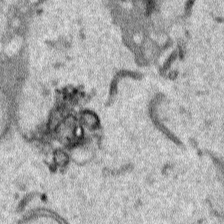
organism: Human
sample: Mitochondria in HCT116 cells